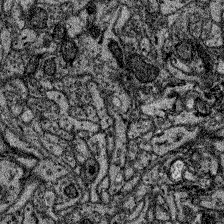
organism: Zebrafish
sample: Larval olfactory bulb